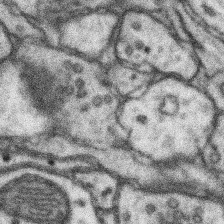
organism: Mouse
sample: Somatosensory cortex neuropil